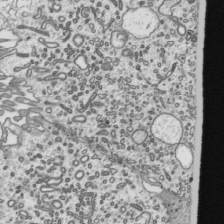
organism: Mouse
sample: Mouse epididymis efferent ductule cilia